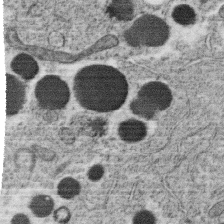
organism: C. elegans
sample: C. elegans oocyte; sperm cells